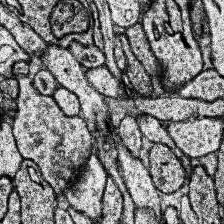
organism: Human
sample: Temporal Lobe